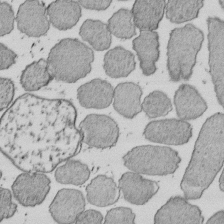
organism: E. coli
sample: Bacterial nucleoid